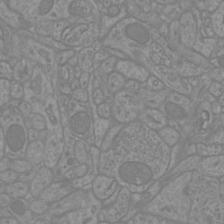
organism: Mouse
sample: Cortical neurons